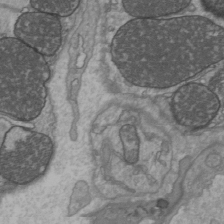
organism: C57BL Mouse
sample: Heart